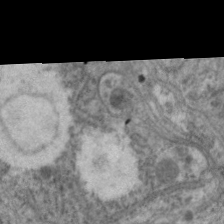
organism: C. elegans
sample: Pharynx